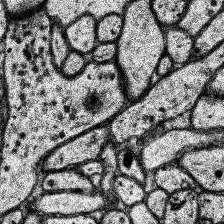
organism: Human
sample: Temporal Lobe